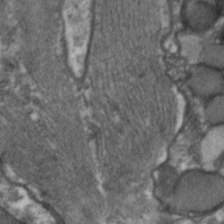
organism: C. elegans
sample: Pharynx